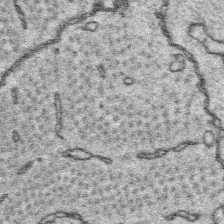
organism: Platynereis dumerilii